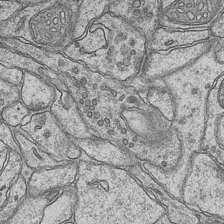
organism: Mouse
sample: CA1 Hippocampus